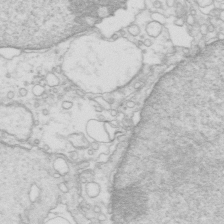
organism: Mouse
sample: Multiciliated cells